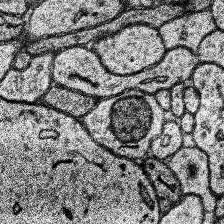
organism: Human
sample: Temporal Lobe